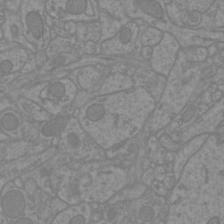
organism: Mouse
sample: Cortical neurons